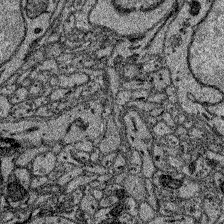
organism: Zebrafish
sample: Larval olfactory bulb